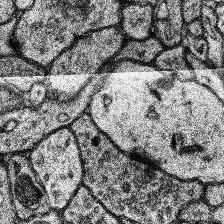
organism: Human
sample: Temporal Lobe